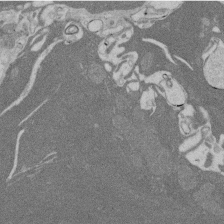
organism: Rat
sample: Salivary granule